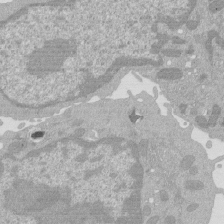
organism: Mouse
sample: Activated Pmel transgenic CD8+ T Cells